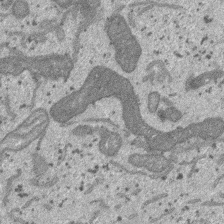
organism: Human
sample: Lung epithelial cells infected with SARS-CoV-2